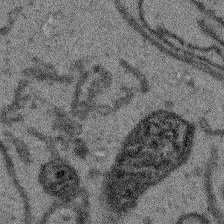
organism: Arabidopsis thaliana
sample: Root tip